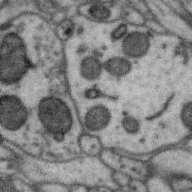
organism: Zebra finch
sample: Brain